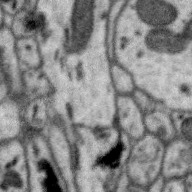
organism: Zebra finch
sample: Brain